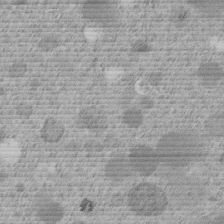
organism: C. elegans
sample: C. elegans embryo early stage